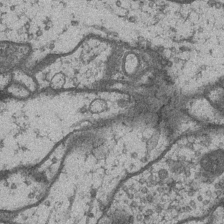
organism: Drosophila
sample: Optic medulla